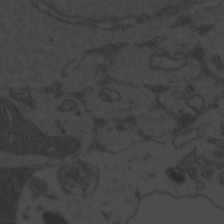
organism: Zebrafish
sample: Macrophage infected with Toxoplasma gondii